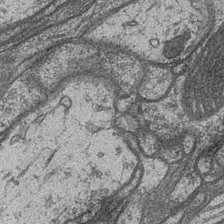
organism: Drosophila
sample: Optic medulla